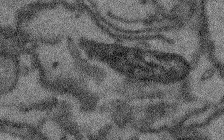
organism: Arabidopsis thaliana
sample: Root tip